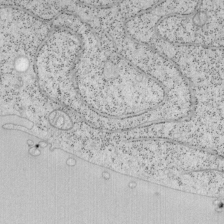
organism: Mouse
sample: OT-I killer T cells with ID8 ovarian cancer cells